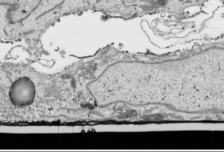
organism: Human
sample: Mitochondria in HCT116 cells